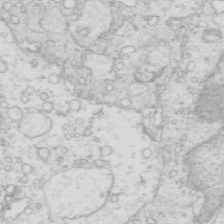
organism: Mouse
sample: Multiciliated cells